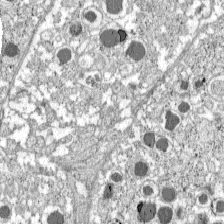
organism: C57BL Mouse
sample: Pancreatic islet